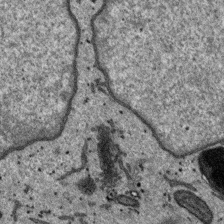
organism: Human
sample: Lung epithelial cells, uninfected (mock) control